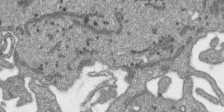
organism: Human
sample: Lung epithelial cells infected with SARS-CoV-2